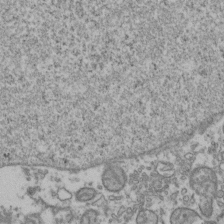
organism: Human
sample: Activated Jurkat CD4+ T cells